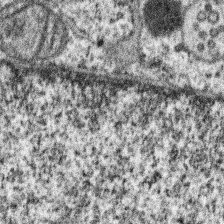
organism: Human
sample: HeLa cells